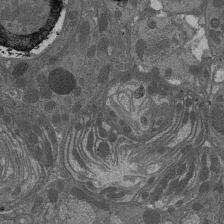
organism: Drosophila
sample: Antenna